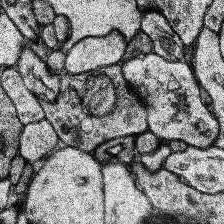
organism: Human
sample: Temporal Lobe